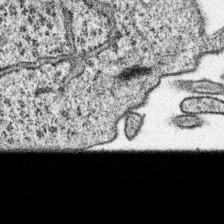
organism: Human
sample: HeLa cells